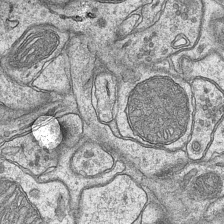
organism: Mouse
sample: CA1 Hippocampus